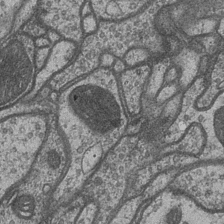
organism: Drosophila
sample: Optic medulla